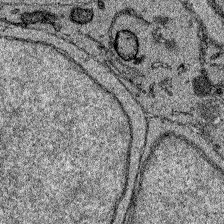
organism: Zebrafish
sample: Larval olfactory bulb